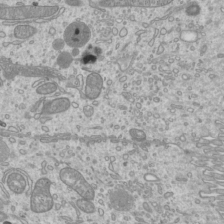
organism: Mouse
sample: Cilia; mouse epididymis